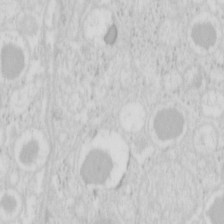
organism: Mouse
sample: Pancreas